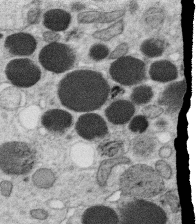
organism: C. elegans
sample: C. elegans oocyte; sperm cells